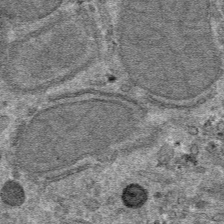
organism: Mouse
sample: Mouse hepatocytes